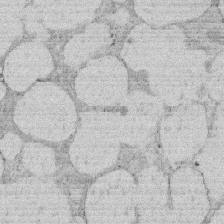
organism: Rat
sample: Salivary granule